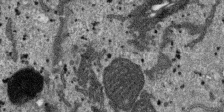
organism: Human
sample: Lung epithelial cells, uninfected (mock) control